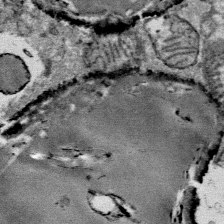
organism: Mouse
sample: Mouse Salivary gland